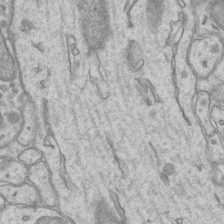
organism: Mouse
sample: CA1 Hippocampus